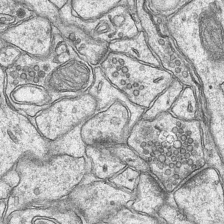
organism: Mouse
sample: CA1 Hippocampus